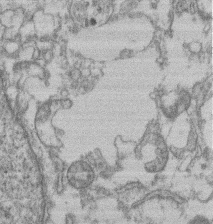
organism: Mouse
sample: T cell stromal cell synapse